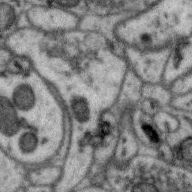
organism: Zebra finch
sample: Brain